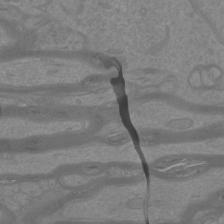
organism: Mouse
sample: Cortical neurons